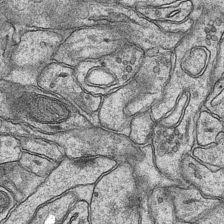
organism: Mouse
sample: CA1 Hippocampus